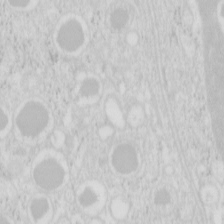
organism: Mouse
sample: Pancreas